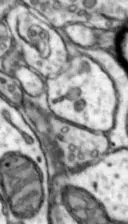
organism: Mouse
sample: Nucleus accumbens